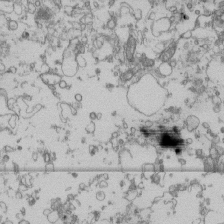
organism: Human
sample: Fibroblast cells